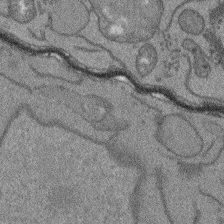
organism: Arabidopsis thaliana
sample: Root tip